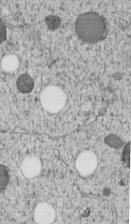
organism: C. elegans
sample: C. elegans embryo early stage